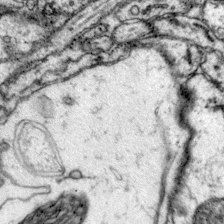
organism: Mouse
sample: Primary visual cortex